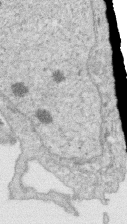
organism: Human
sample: HeLa cell HIV synapse